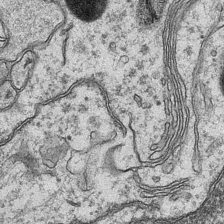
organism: Mouse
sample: CA1 Hippocampus